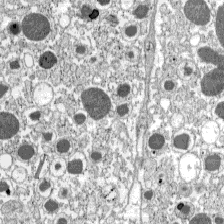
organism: C57BL Mouse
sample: Pancreatic islet